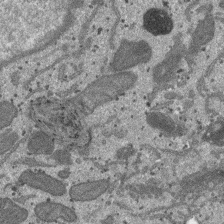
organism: Human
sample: Lung epithelial cells infected with SARS-CoV-2